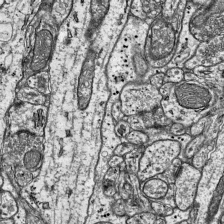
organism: Mouse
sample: Visual Cortex